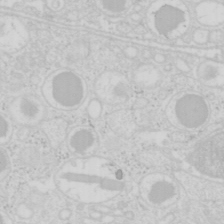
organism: Mouse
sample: Pancreas